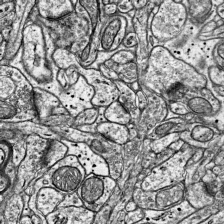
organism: Mouse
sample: Visual Cortex